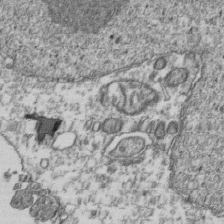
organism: Human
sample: Activated Jurkat CD4+ T cells